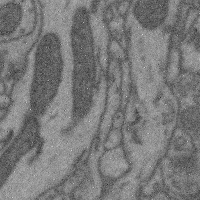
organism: Mouse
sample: Cerebral cortex